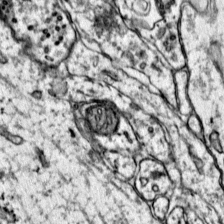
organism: Mouse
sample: Primary visual cortex